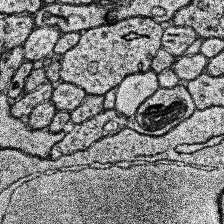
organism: Human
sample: Temporal Lobe